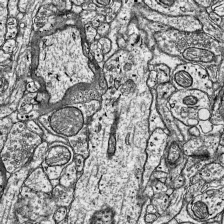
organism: Mouse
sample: Visual Cortex